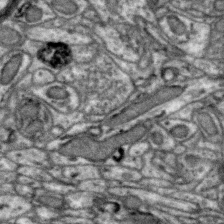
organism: Zebra finch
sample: Brain